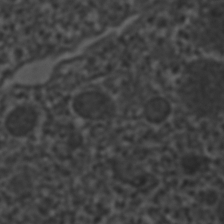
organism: C. elegans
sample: C. elegans embryo